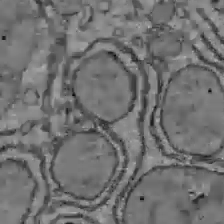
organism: C57BL Mouse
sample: Liver